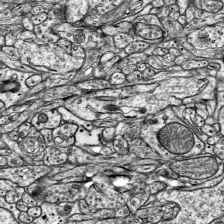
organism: Mouse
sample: Visual Cortex